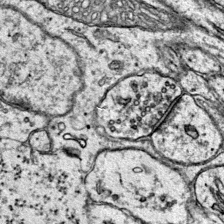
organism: Mouse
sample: Primary visual cortex